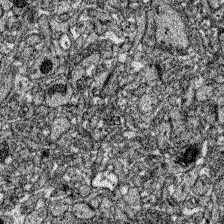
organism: Zebrafish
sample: Larval olfactory bulb